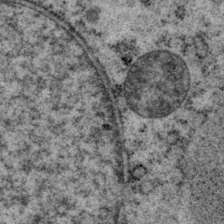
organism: P. pacificus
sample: Pharynx